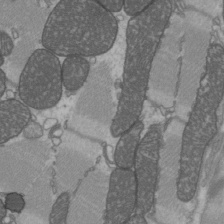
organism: C57BL Mouse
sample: Heart